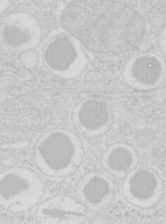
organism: Mouse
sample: Pancreas